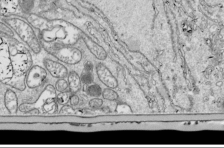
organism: Drosophila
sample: Cell division; meiosis; drosophila spermatocytes